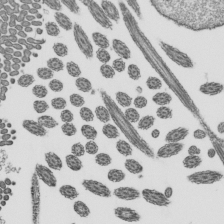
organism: Mouse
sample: Mouse epididymis efferent ductule cilia